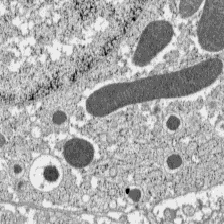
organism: C57BL Mouse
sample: Pancreatic islet